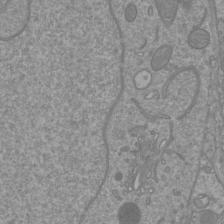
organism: Mouse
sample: Cortical neurons